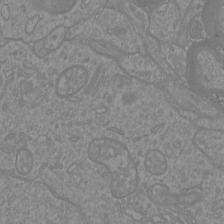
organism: Mouse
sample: Cortical neurons